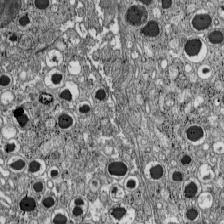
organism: C57BL Mouse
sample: Pancreatic islet